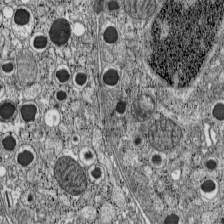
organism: C57BL Mouse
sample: Pancreatic islet